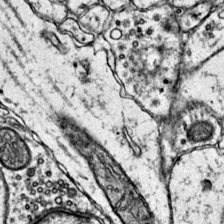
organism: Mouse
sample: Primary visual cortex